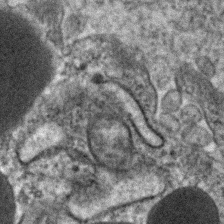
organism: Human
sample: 1205lu cells